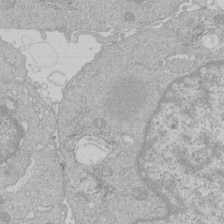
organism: Human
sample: Macrophage cells